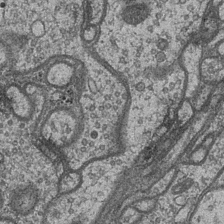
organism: Drosophila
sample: Optic medulla